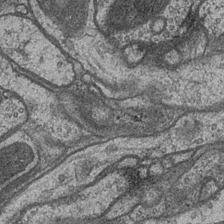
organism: Drosophila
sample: Optic medulla